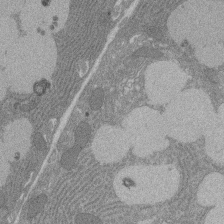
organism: Rat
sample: Salivary granule